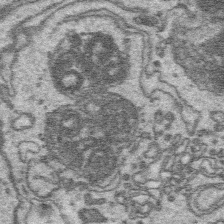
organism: Platynereis dumerilii